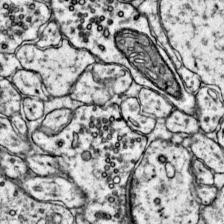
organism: Mouse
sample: Primary visual cortex